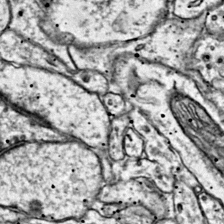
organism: Mouse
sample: Primary visual cortex